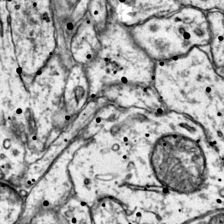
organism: Mouse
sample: Primary visual cortex